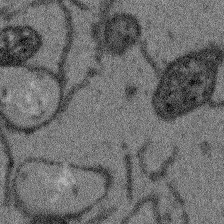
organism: Arabidopsis thaliana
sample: Root tip